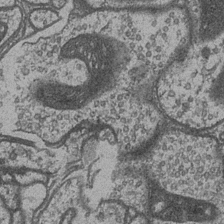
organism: Drosophila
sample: Optic medulla